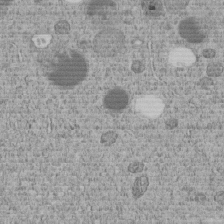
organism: C. elegans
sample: C. elegans embryo early stage